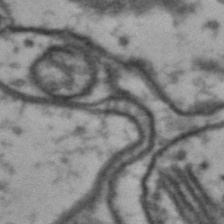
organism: Drosophila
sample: Brain